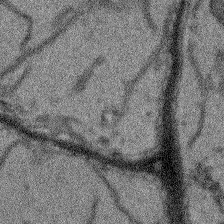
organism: Arabidopsis thaliana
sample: Root tip